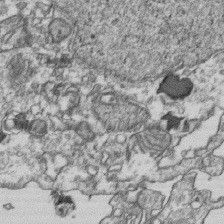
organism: Human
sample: Activated Jurkat CD4+ T cells